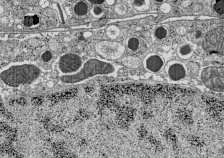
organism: C57BL Mouse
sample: Pancreatic islet